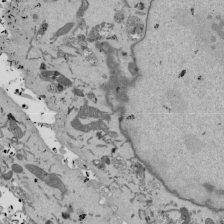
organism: Mouse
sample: ED-1 cell nuclei; centrioles